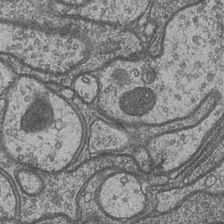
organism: Drosophila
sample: Optic medulla